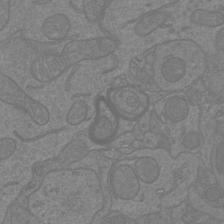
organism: Mouse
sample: Cortical neurons